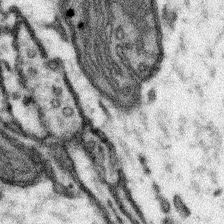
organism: Mouse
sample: Somatosensory cortex neuropil